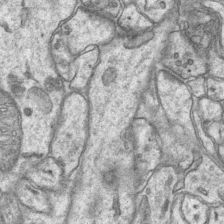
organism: Mouse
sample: CA1 Hippocampus